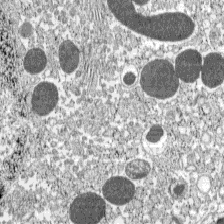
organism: C57BL Mouse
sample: Pancreatic islet